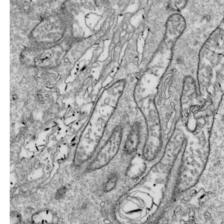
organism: Drosophila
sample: Cell division; meiosis; drosophila spermatocytes